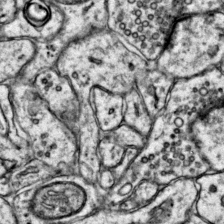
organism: Mouse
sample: Primary visual cortex